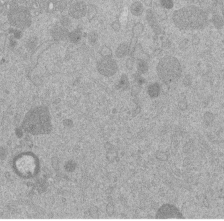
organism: Mouse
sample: Dividing mouse embryo 1 cell stage